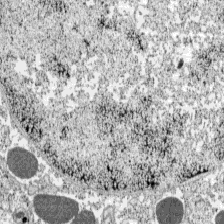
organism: C57BL Mouse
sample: Pancreatic islet